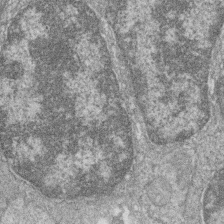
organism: Zebrafish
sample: Cilia; retinal pigment epithelium